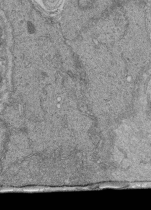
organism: Human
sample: Retinal organoid Rod and Cone cells